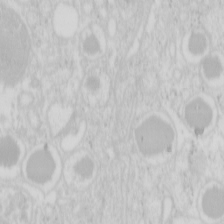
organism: Mouse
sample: Pancreas